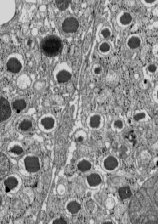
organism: C57BL Mouse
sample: Pancreatic islet